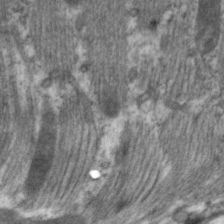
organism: C. elegans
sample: Pharynx